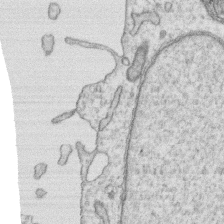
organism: Human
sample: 1205lu cells